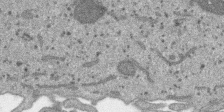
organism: Human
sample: Lung epithelial cells infected with SARS-CoV-2